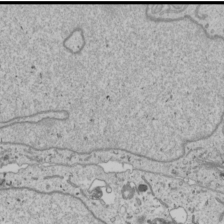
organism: Human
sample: Mitochondria in U2OS cells